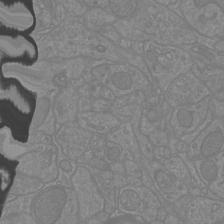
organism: Mouse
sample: Cortical neurons